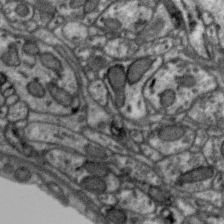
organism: Zebra finch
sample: Brain